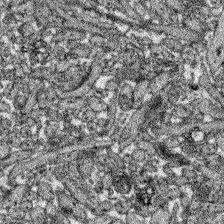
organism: Zebrafish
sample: Larval olfactory bulb